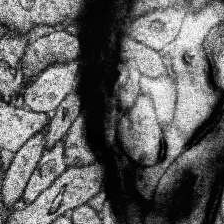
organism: Human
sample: Temporal Lobe